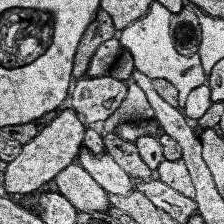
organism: Human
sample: Temporal Lobe